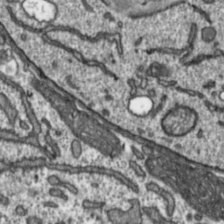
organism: Toxoplasma gondii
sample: Parasites in a vacuole inside a host cell